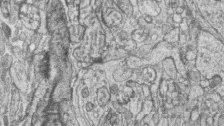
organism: Zebrafish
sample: synaptic ribbons in rod cells and cone cells